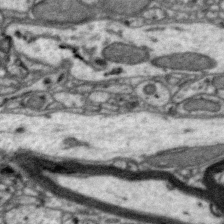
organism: Zebra finch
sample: Brain